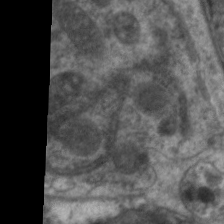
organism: C. elegans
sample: Pharynx